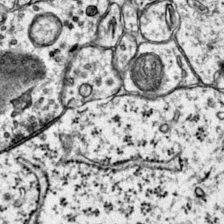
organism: Mouse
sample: Primary visual cortex